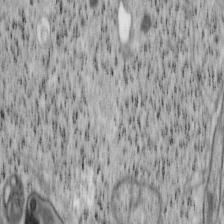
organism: Human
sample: HeLa cells